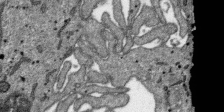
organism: Human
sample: Lung epithelial cells, uninfected (mock) control